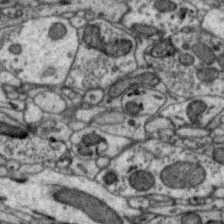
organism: Zebra finch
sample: Brain